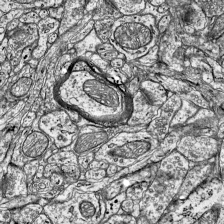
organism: Mouse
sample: Visual Cortex